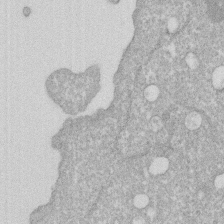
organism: Human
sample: HIV infected U937 cells